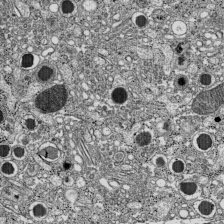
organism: C57BL Mouse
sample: Pancreatic islet